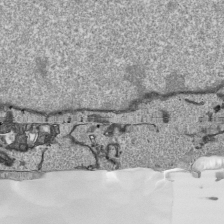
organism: Human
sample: Mitochondria in HCT116 cells